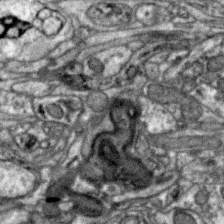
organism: Zebra finch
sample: Brain